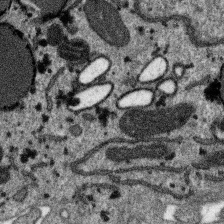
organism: Human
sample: Lung epithelial cells infected with SARS-CoV-2